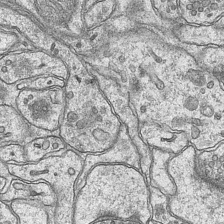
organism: Mouse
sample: CA1 Hippocampus